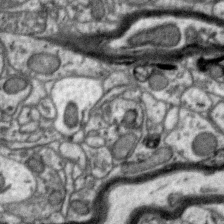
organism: Zebra finch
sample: Brain